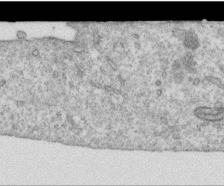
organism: Human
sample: Centriole in RPE cells